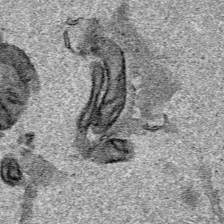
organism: Human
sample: Mitochondria in HCT116 cells